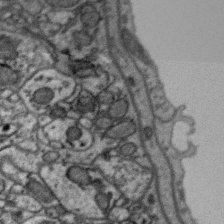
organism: Zebra finch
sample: Brain